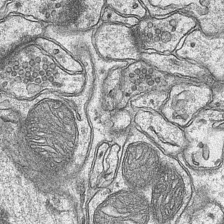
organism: Mouse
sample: CA1 Hippocampus